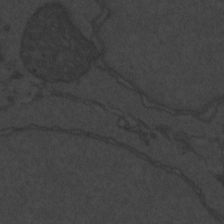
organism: Zebrafish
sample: Macrophage infected with Toxoplasma gondii